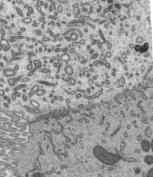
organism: Mouse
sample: Mouse epididymis efferent ductule cilia